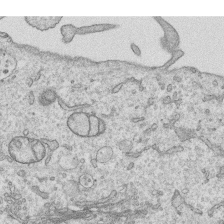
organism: Human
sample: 1205lu cells